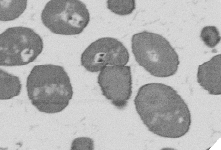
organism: B. subtilis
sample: Bacterial spore